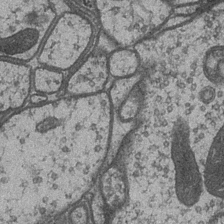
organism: Drosophila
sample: Optic medulla